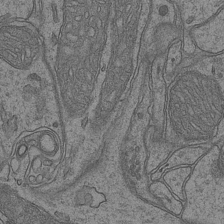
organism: Mouse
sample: CA1 Hippocampus